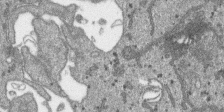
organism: Human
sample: Lung epithelial cells infected with SARS-CoV-2